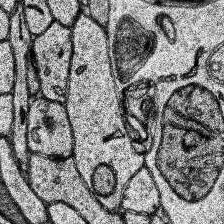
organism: Human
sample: Temporal Lobe